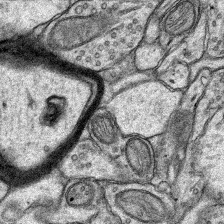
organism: Rat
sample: Hippocampus